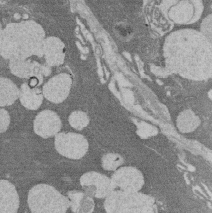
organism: Rat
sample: Salivary granule